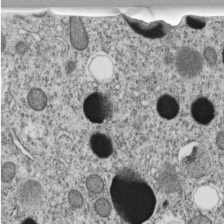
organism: C. elegans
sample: C. elegans embryo early stage